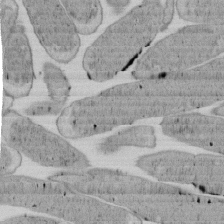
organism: E. coli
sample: Bacterial nucleoid